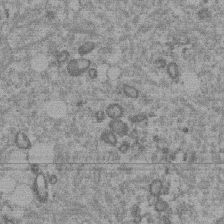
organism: Mouse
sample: Dividing mouse embryo 1 cell stage